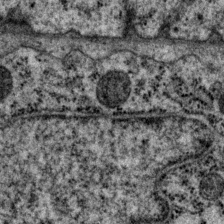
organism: P. pacificus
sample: Pharynx